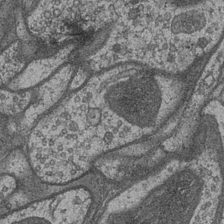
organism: Drosophila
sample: Optic medulla